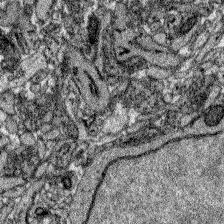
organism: Zebrafish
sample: Larval olfactory bulb